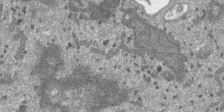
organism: Human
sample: Lung epithelial cells infected with SARS-CoV-2